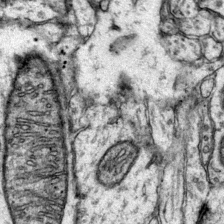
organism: Mouse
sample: Primary visual cortex